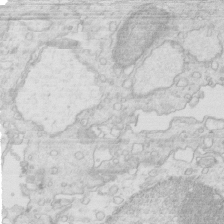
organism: Mouse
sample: Multiciliated cells